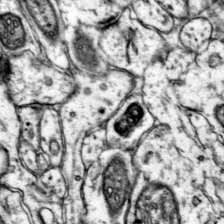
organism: Mouse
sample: Primary visual cortex